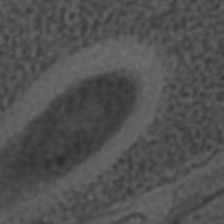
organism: C. elegans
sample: C. elegans embryo